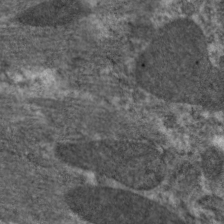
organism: C. elegans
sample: Pharynx